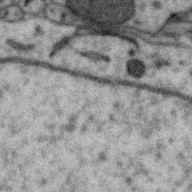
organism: Zebra finch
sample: Brain